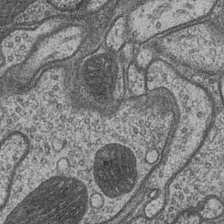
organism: Drosophila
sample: Optic medulla